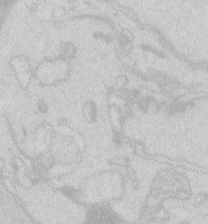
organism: Zebrafish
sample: Macrophage